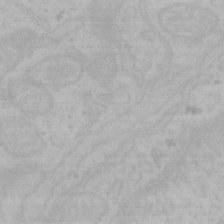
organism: Mouse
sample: Choroid plexus